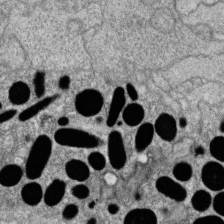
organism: Zebrafish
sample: Cilia; retinal pigment epithelium